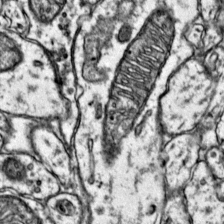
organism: Mouse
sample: Primary visual cortex